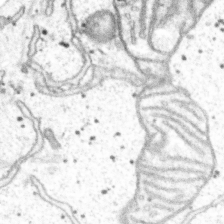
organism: Human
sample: HeLa cells